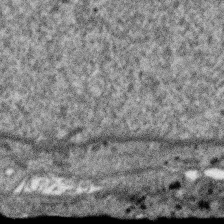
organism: Human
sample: Lung epithelial cells infected with SARS-CoV-2